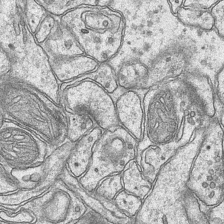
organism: Mouse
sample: CA1 Hippocampus